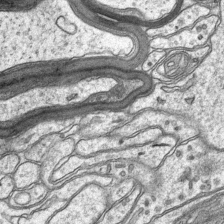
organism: Mouse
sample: CA1 Hippocampus